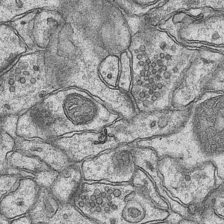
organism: Mouse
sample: CA1 Hippocampus